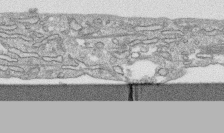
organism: Human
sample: CRL-1474